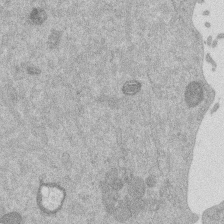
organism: Mouse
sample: Dividing mouse embryo 1 cell stage